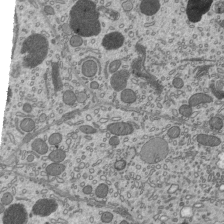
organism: Mouse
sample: Mouse epididymis efferent ductule cilia